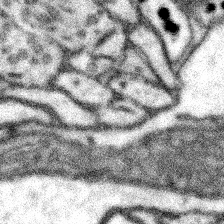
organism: Mouse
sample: Somatosensory cortex neuropil